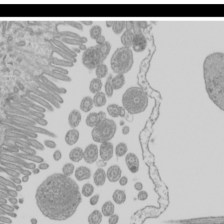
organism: Mouse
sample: Cilia; mouse epididymis